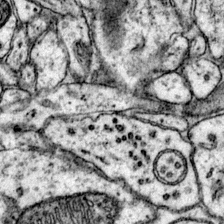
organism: Mouse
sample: Primary visual cortex